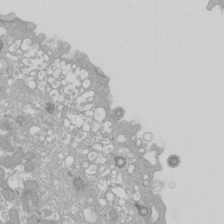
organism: Xenopus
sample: Cilia; centrioles in frog embryo cells